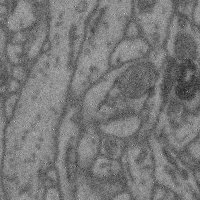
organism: Mouse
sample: Cerebral cortex